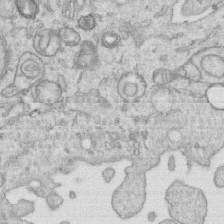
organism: Human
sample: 1205lu cells